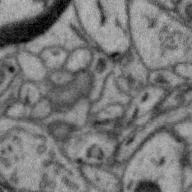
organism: Zebra finch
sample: Brain